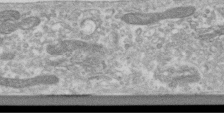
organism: Human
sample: Centriole in RPE cells